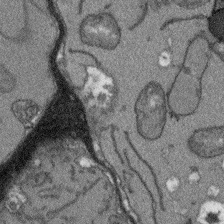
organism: Arabidopsis thaliana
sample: Root tip